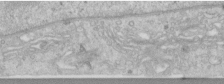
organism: Human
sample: Centriole in RPE cells